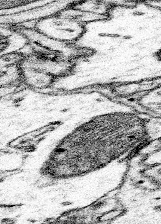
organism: Mouse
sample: Somatosensory cortex neuropil